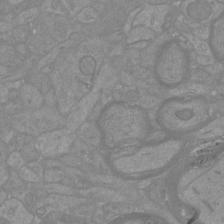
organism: Mouse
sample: Cortical neurons